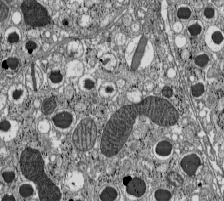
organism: C57BL Mouse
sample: Pancreatic islet